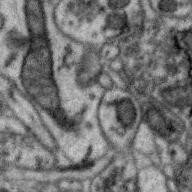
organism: Zebra finch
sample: Brain